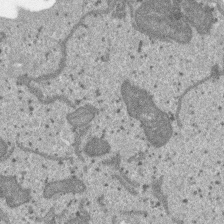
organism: Human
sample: Lung epithelial cells infected with SARS-CoV-2